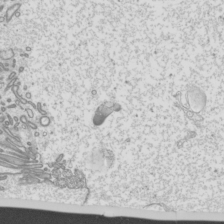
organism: Mouse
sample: Cilia; mouse epididymis